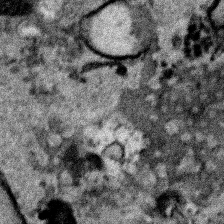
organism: Human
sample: Mitochondria in HCT116 cells